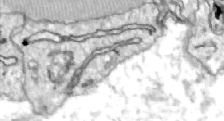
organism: Zebrafish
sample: Actinotrichia fibers